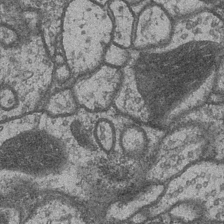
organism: Drosophila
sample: Optic medulla